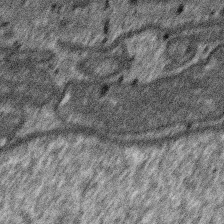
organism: Human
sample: Lung epithelial cells infected with SARS-CoV-2